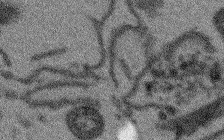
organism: Arabidopsis thaliana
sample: Root tip